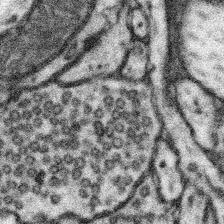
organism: Mouse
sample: Somatosensory cortex neuropil